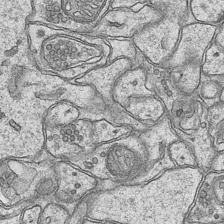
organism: Mouse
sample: CA1 Hippocampus